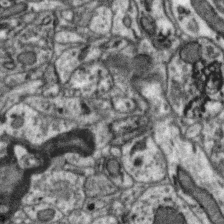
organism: Zebra finch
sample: Brain